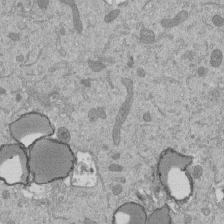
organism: Mouse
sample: ED-1 cell nuclei; centrioles